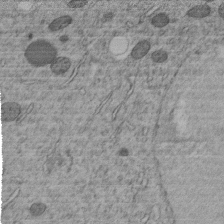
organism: C. elegans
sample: C. elegans embryo early stage